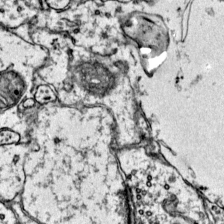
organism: Mouse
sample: Primary visual cortex